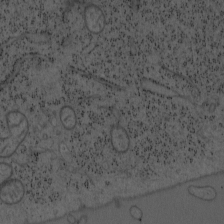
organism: Mouse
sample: OT-I killer T cells with ID8 ovarian cancer cells